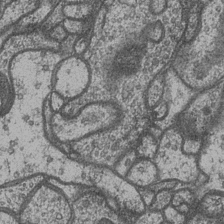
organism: Drosophila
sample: Optic medulla